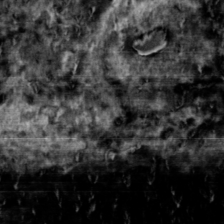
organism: Toxoplasma gondii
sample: Parasites in a vacuole inside a host cell